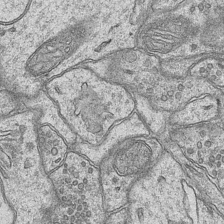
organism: Mouse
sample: CA1 Hippocampus